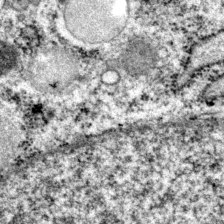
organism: P. pacificus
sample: Pharynx